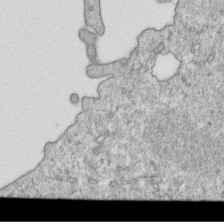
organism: Mouse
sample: Activated OT-1 CD8+ T cells